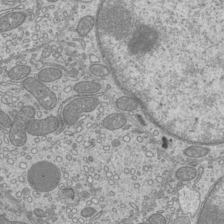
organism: Mouse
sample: Cilia; mouse epididymis